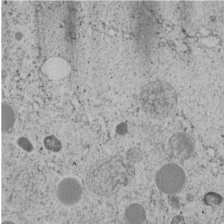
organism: C. elegans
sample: C. elegans embryo early stage